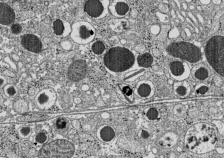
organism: C57BL Mouse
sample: Pancreatic islet